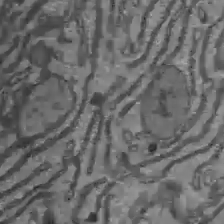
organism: C57BL Mouse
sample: Liver